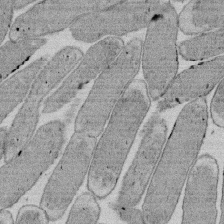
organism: E. coli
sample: Bacterial nucleoid